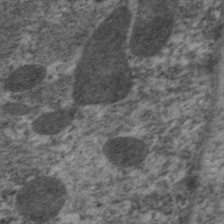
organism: C. elegans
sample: Pharynx